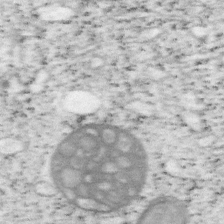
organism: Mouse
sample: OT-I killer T cells with ID8 ovarian cancer cells